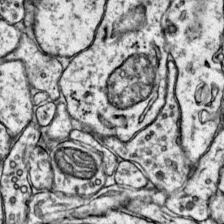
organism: Mouse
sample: Primary visual cortex